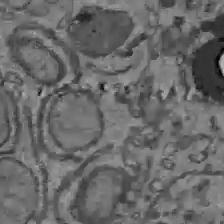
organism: C57BL Mouse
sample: Liver